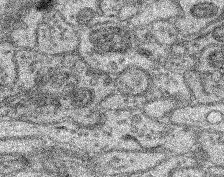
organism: Mouse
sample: Retina